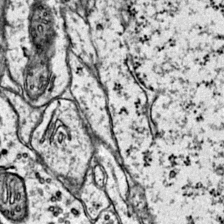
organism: Mouse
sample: Primary visual cortex